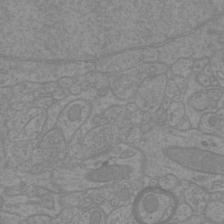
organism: Mouse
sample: Cortical neurons